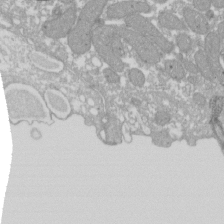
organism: Xenopus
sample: Cilia; centrioles in frog embryo cells